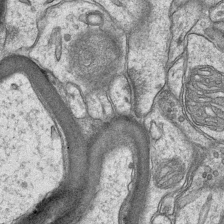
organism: Mouse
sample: CA1 Hippocampus